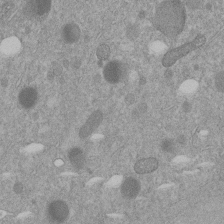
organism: C. elegans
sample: C. elegans embryo early stage